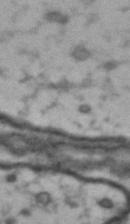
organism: Drosophila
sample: Brain